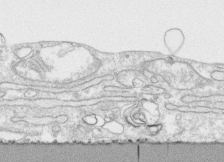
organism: Human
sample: CRL-1474